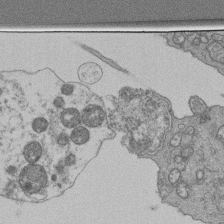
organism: Human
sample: Retinal organoid Rod and Cone cells